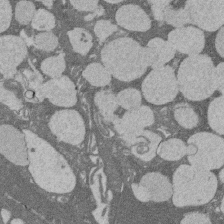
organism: Rat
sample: Salivary granule